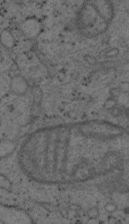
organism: Human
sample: HeLa cells